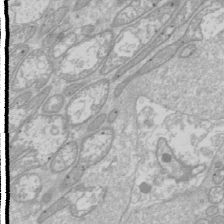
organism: Drosophila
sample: Cell division; meiosis; drosophila spermatocytes